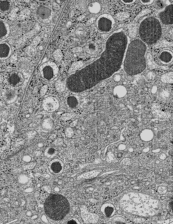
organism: C57BL Mouse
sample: Pancreatic islet